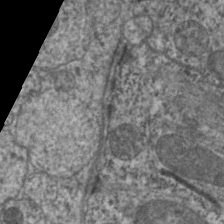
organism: C. elegans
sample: Pharynx